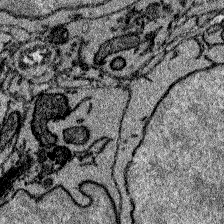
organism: Zebrafish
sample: Larval olfactory bulb